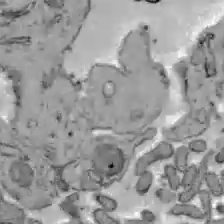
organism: C57BL Mouse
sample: Liver